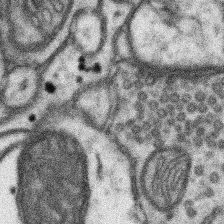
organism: Mouse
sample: Somatosensory cortex neuropil